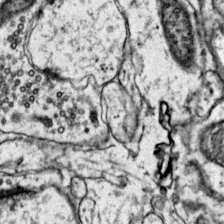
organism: Mouse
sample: Primary visual cortex